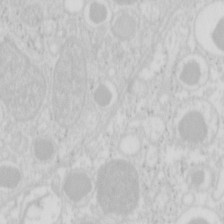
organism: Mouse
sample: Pancreas